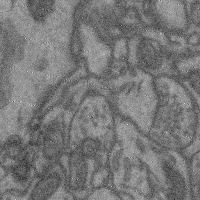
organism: Mouse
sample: Cerebral cortex